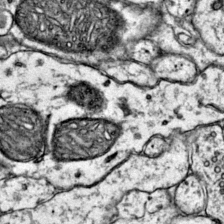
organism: Mouse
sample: Primary visual cortex